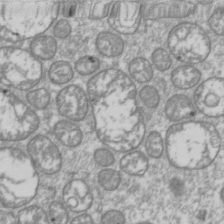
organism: Drosophila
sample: Cell division; meiosis; drosophila spermatocytes